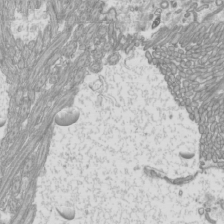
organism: Mouse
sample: Cilia; mouse epididymis